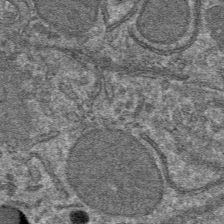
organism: Mouse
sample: Mouse hepatocytes